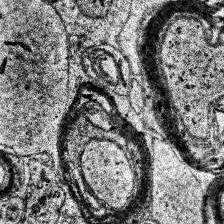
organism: Human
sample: Temporal Lobe